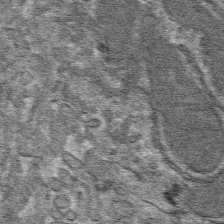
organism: Mouse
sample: Mouse hepatocytes